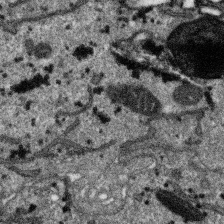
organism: Human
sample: Lung epithelial cells infected with SARS-CoV-2